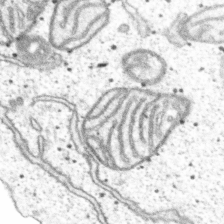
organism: Human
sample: HeLa cells